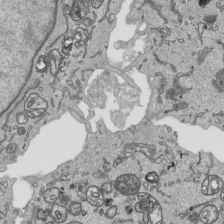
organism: Human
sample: Mitochondria in HCT116 cells